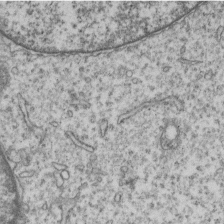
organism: Human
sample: MDA-MB-231 cells